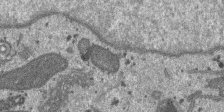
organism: Human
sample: Lung epithelial cells infected with SARS-CoV-2